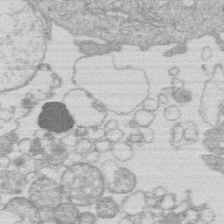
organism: Human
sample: Macrophage cells